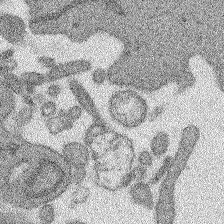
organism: Human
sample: HeLa cells